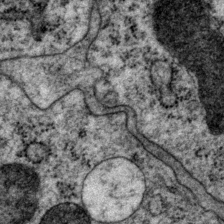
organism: P. pacificus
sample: Pharynx